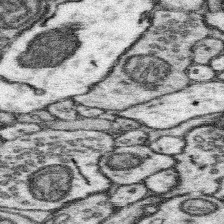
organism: Mouse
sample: Somatosensory cortex neuropil